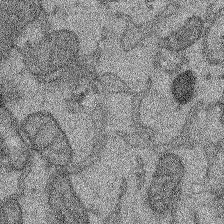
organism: Human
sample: HeLa cells